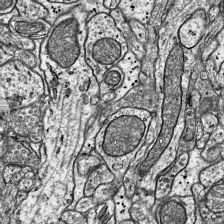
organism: Mouse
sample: Visual Cortex